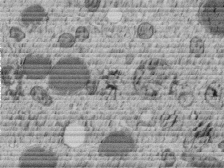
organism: C. elegans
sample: C. elegans embryo early stage